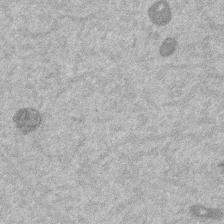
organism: Mouse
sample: Dividing mouse embryo 1 cell stage